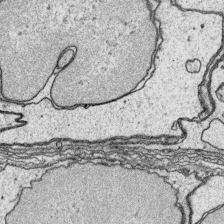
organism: Platynereis dumerilii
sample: Parapodia